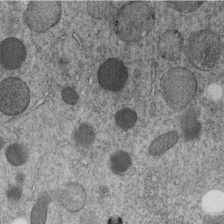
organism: C. elegans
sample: C. elegans embryo early stage